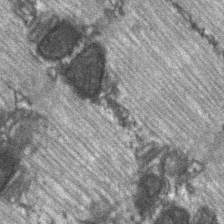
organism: C57BL Mouse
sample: Soleus